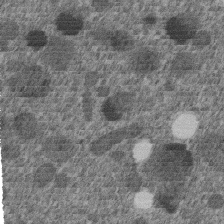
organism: C. elegans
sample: C. elegans embryo early stage